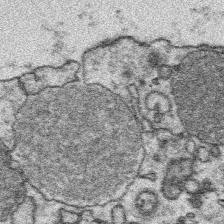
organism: Platynereis dumerilii